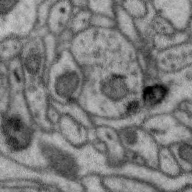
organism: Zebra finch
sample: Brain